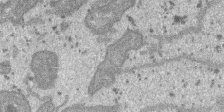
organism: Human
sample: Lung epithelial cells infected with SARS-CoV-2